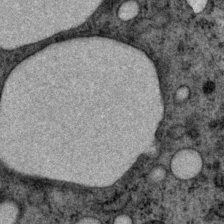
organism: P. pacificus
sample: Pharynx